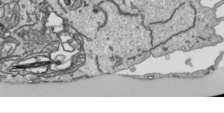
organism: Human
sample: Mitochondria in HCT116 cells